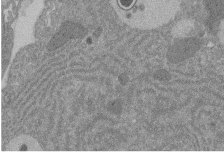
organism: Rat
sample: Salivary granule